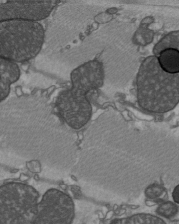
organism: C57BL Mouse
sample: Heart